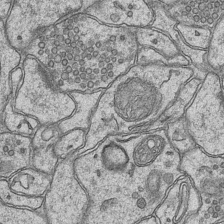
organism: Mouse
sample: CA1 Hippocampus